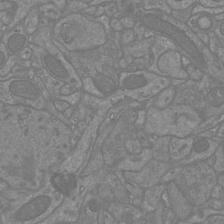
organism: Mouse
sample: Cortical neurons